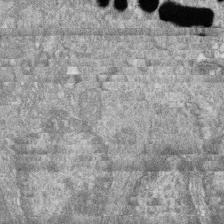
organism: Zebrafish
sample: Cilia; retinal pigment epithelium